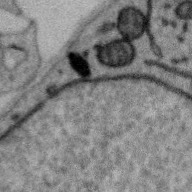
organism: Zebra finch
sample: Brain